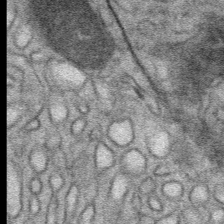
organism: Mouse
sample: Mouse Salivary gland